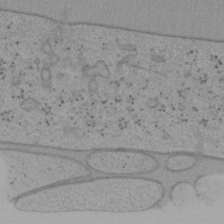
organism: Human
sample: HeLa cells